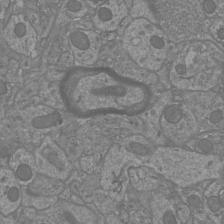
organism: Mouse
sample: Cortical neurons